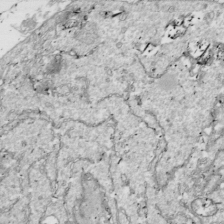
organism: Drosophila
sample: Cell division; meiosis; drosophila spermatocytes